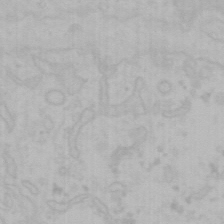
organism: Mouse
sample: Choroid plexus